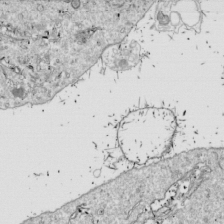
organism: Drosophila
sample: Cell division; meiosis; drosophila spermatocytes